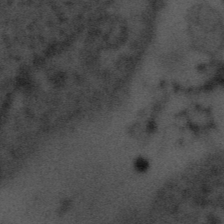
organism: Tuwongella immobilis